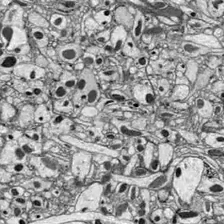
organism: Drosophila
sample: Optic lobe